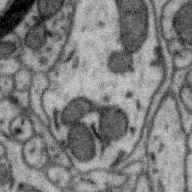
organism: Zebra finch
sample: Brain